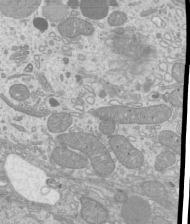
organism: Mouse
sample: Cilia; mouse epididymis